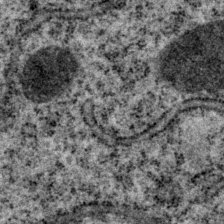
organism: P. pacificus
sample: Pharynx